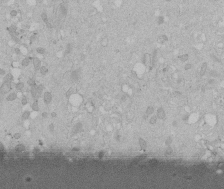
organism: Human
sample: Melanocyte Keratinocyte synapse skin construct